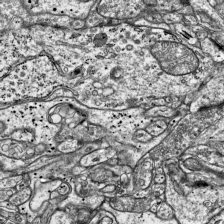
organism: Mouse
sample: Visual Cortex